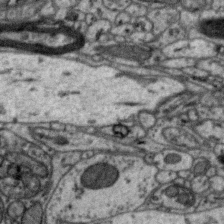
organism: Zebra finch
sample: Brain